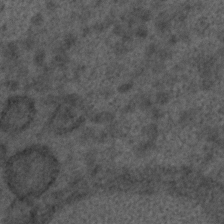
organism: C. elegans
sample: C. elegans embryo